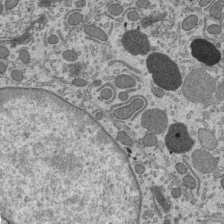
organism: Mouse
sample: Mouse epididymis efferent ductule cilia